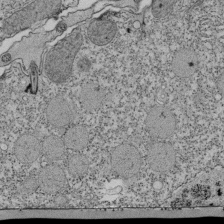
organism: Tetrahymena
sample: Cilia in tetrahymena